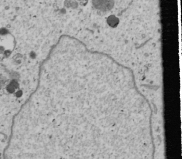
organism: Human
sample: Mitochondria in U2OS cells